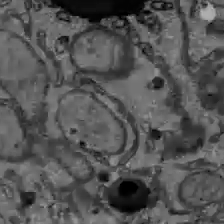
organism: C57BL Mouse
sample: Liver